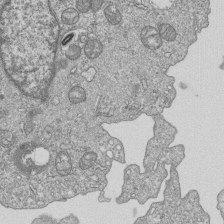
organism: Human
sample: MDA-MB-231 cells